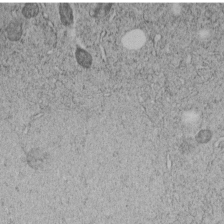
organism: C. elegans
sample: C. elegans embryo early stage